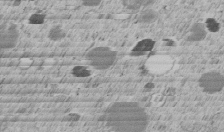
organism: C. elegans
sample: C. elegans embryo early stage